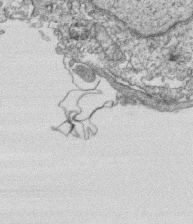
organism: Human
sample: HeLa cell HIV synapse